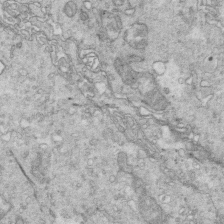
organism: Mouse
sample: Multiciliated cells